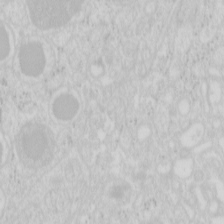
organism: Mouse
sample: Pancreas